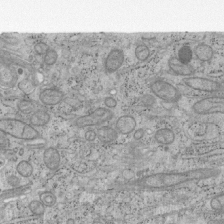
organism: Human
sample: HeLa cells